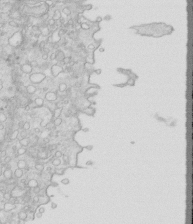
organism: Mouse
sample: Multiciliated cells